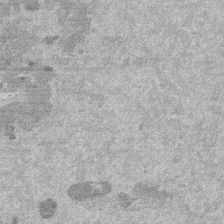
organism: Mouse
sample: Dividing mouse embryo 1 cell stage